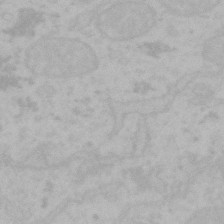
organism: Mouse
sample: Choroid plexus